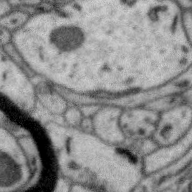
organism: Zebra finch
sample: Brain